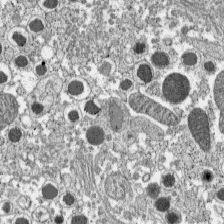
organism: C57BL Mouse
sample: Pancreatic islet